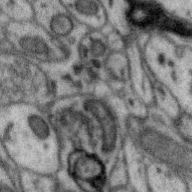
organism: Zebra finch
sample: Brain